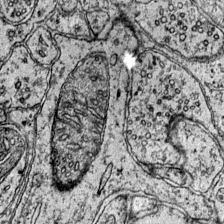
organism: Mouse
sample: Primary visual cortex